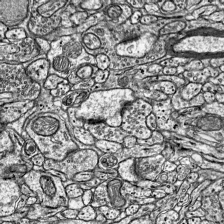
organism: Mouse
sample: Visual Cortex